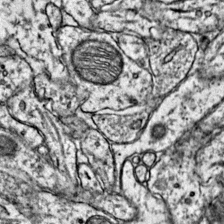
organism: Mouse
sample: Primary visual cortex